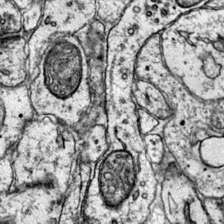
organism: Mouse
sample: Primary visual cortex